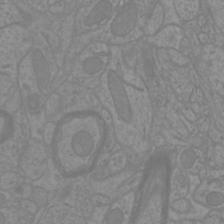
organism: Mouse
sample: Cortical neurons